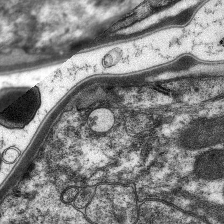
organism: C. elegans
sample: Pharynx